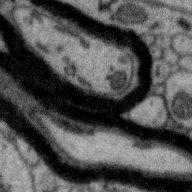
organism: Zebra finch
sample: Brain